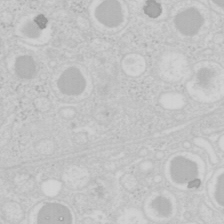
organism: Mouse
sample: Pancreas